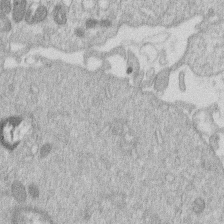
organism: Human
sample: Macrophage cells